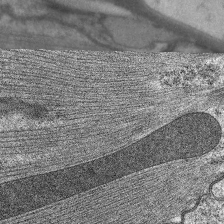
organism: C. elegans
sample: Pharynx